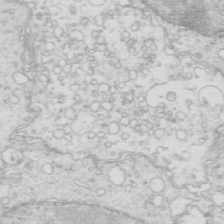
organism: Mouse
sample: Multiciliated cells